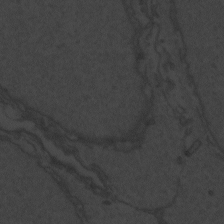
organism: Zebrafish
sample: Macrophage infected with Toxoplasma gondii